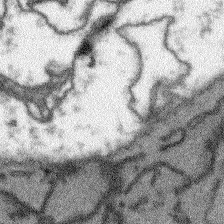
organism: Arabidopsis thaliana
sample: Root tip